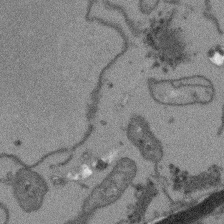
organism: Arabidopsis thaliana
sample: Root tip